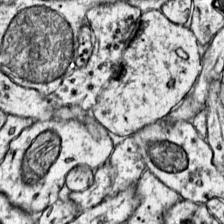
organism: Mouse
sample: Primary visual cortex